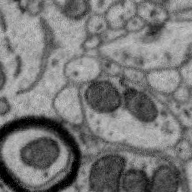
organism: Zebra finch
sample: Brain